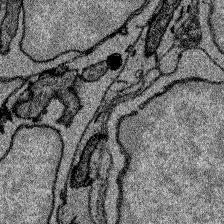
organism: Zebrafish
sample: Larval olfactory bulb